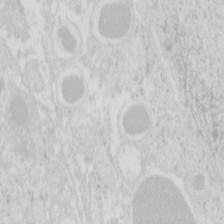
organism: Mouse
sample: Pancreas